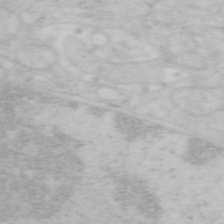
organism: Mouse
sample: OT-I killer T cells with ID8 ovarian cancer cells